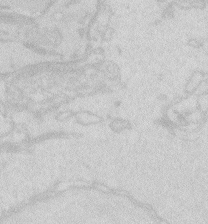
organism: Zebrafish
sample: Macrophage